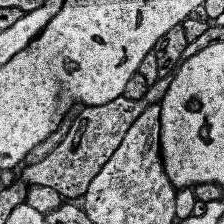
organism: Human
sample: Temporal Lobe